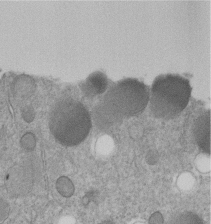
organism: C. elegans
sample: C. elegans embryo early stage